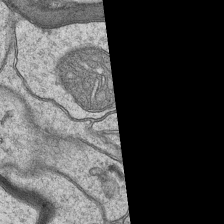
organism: Mouse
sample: CA1 Hippocampus